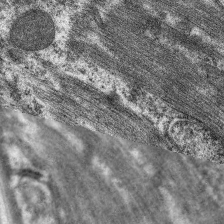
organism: C. elegans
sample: Pharynx